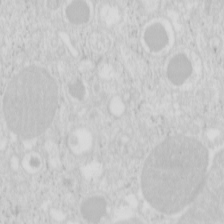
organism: Mouse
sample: Pancreas